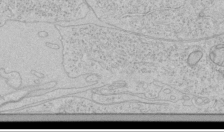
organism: Human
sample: Mitochondria in HCT116 cells